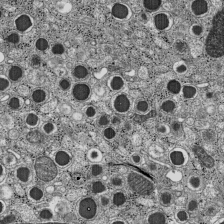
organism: C57BL Mouse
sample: Pancreatic islet